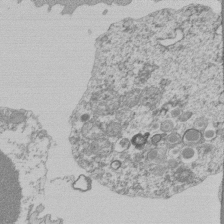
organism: Mouse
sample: Activated Pmel transgenic CD8+ T Cells